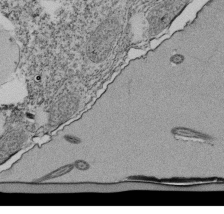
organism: Tetrahymena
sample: Cilia in tetrahymena